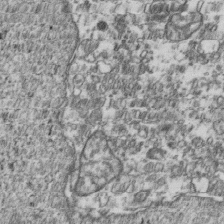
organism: Human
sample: Activated Jurkat CD4+ T cells